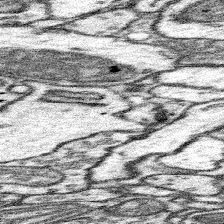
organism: Mouse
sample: Somatosensory cortex neuropil